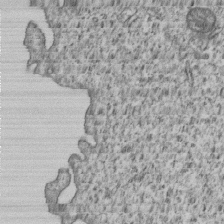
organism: Human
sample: MDA-MB-231 cells